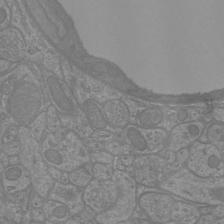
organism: Mouse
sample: Cortical neurons